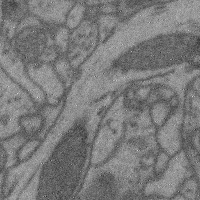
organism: Mouse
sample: Cerebral cortex